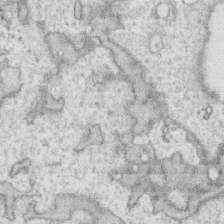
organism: Human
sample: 1205lu cells